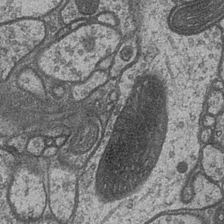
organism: Drosophila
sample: Optic medulla